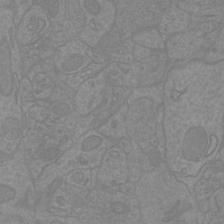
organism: Mouse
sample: Cortical neurons